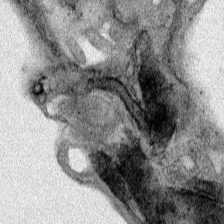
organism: Human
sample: Mitochondria in HCT116 cells